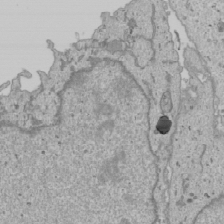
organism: Human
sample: Mitochondria in U2OS cells